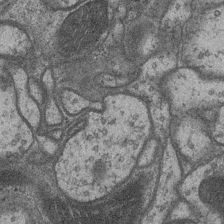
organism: Drosophila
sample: Optic medulla